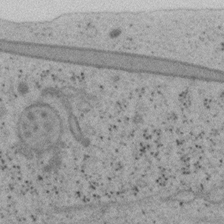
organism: Human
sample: HeLa cells